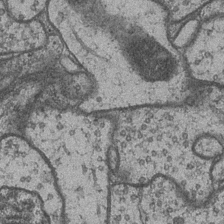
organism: Drosophila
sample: Optic medulla